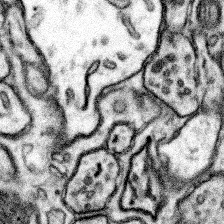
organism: Mouse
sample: Somatosensory cortex neuropil